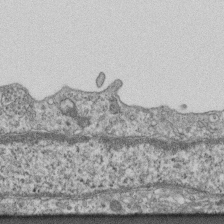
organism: Mouse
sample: Centriole in ependymal cells